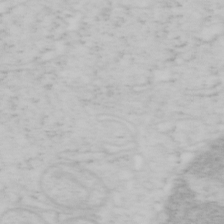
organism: Mouse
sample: OT-I killer T cells with ID8 ovarian cancer cells